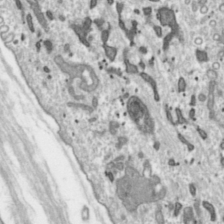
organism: Toxoplasma gondii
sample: Parasites in a vacuole inside a host cell